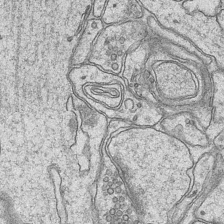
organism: Mouse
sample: CA1 Hippocampus